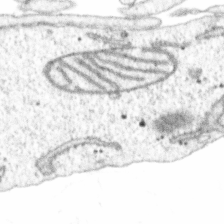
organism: Human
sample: HeLa cells